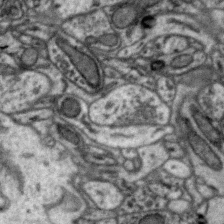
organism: Zebra finch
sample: Brain